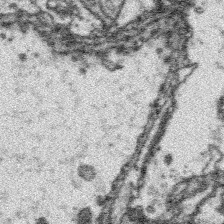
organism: Platynereis dumerilii